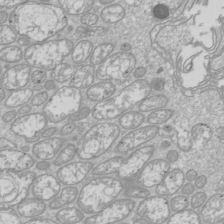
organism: Drosophila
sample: Cell division; meiosis; drosophila spermatocytes